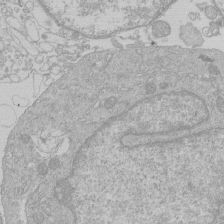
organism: Human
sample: Macrophage cells